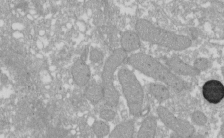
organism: Xenopus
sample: Cilia; centrioles in frog embryo cells